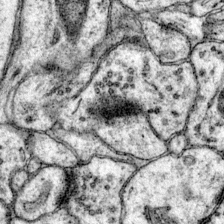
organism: Mouse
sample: Primary visual cortex